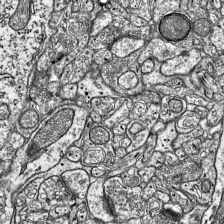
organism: Mouse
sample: Visual Cortex